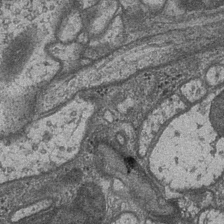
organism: Drosophila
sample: Optic medulla